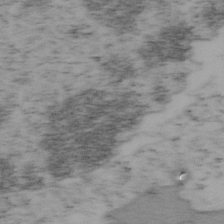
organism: Mouse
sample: OT-I killer T cells with ID8 ovarian cancer cells